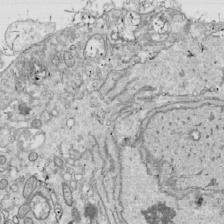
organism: Drosophila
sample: Cell division; meiosis; drosophila spermatocytes